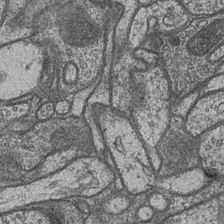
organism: Drosophila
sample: Optic medulla